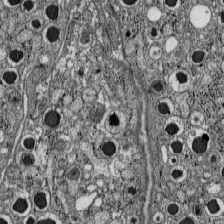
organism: C57BL Mouse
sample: Pancreatic islet